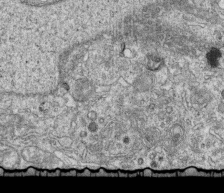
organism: Human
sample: HeLa cell HIV synapse